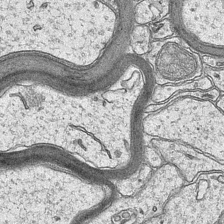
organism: Mouse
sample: CA1 Hippocampus